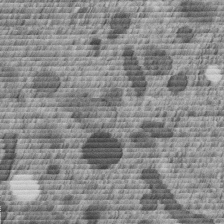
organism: C. elegans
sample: C. elegans embryo early stage